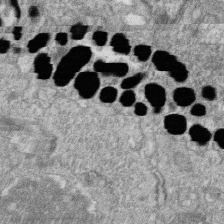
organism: Zebrafish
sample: Cilia; retinal pigment epithelium